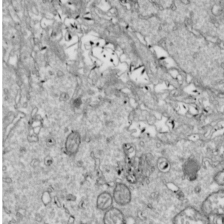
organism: Drosophila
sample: Cell division; meiosis; drosophila spermatocytes